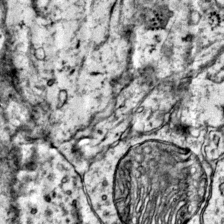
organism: Mouse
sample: Primary visual cortex